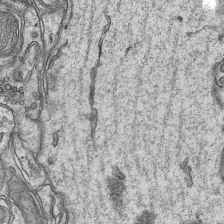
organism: Mouse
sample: CA1 Hippocampus